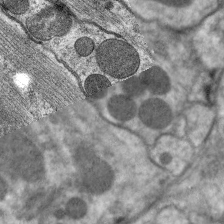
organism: C. elegans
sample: Pharynx